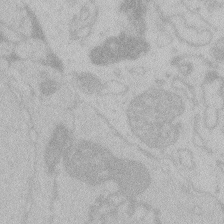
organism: Zebrafish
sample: Macrophage infected with Toxoplasma gondii